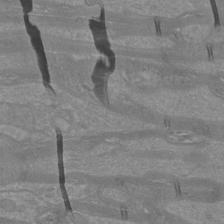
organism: Mouse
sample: Cortical neurons